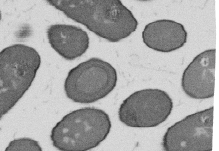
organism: B. subtilis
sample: Bacterial spore